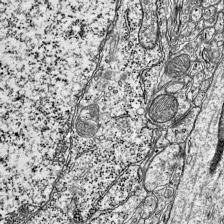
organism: Mouse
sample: Visual Cortex